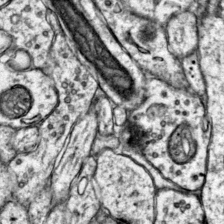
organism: Mouse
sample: Primary visual cortex